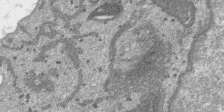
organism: Human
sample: Lung epithelial cells infected with SARS-CoV-2